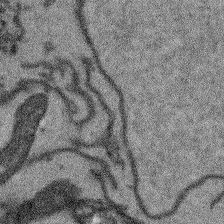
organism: Arabidopsis thaliana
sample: Root tip